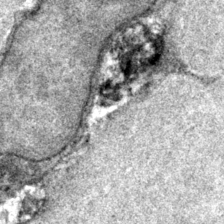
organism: Murine (Unspecified Species)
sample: Bone